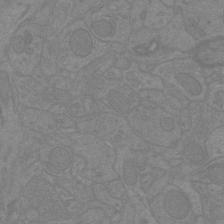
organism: Mouse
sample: Cortical neurons